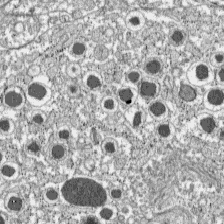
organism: C57BL Mouse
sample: Pancreatic islet